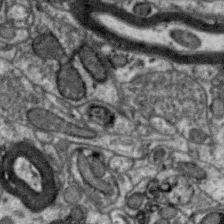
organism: Zebra finch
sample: Brain